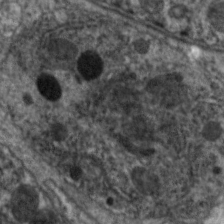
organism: C. elegans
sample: Pharynx